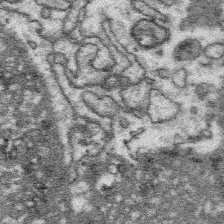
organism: Platynereis dumerilii